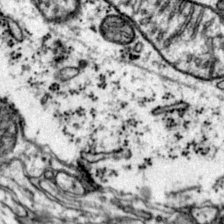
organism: Mouse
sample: Primary visual cortex